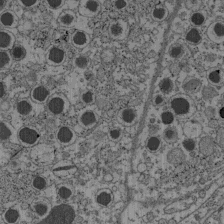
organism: C57BL Mouse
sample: Pancreatic islet